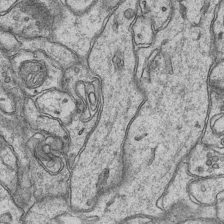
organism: Mouse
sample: CA1 Hippocampus